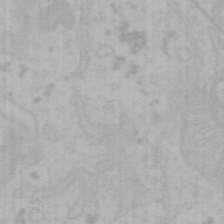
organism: Mouse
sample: Choroid plexus